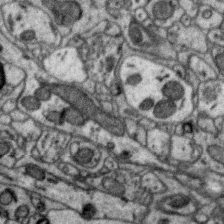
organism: Zebra finch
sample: Brain